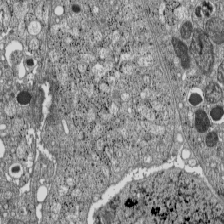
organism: C57BL Mouse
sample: Pancreatic islet